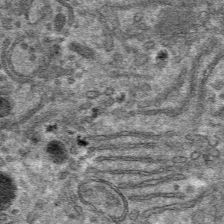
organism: Mouse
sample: Mouse hepatocytes